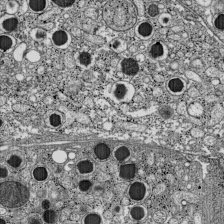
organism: C57BL Mouse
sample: Pancreatic islet